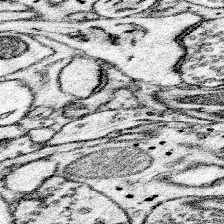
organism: Mouse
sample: Somatosensory cortex neuropil